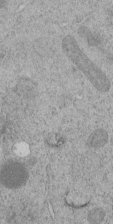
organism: C. elegans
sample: C. elegans embryo early stage